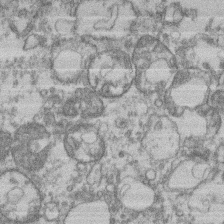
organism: Mouse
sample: T cell stromal cell synapse